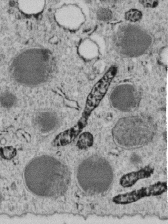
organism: C. elegans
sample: C. elegans embryo early stage